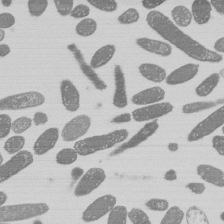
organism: E. coli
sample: Bacterial nucleoid